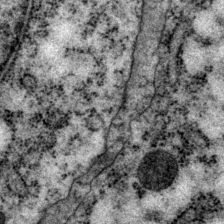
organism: P. pacificus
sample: Pharynx